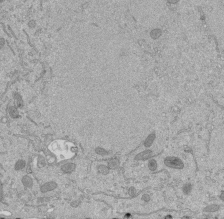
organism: Mouse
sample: ED-1 cell nuclei; centrioles